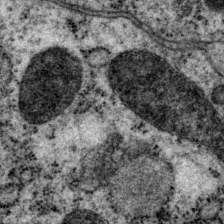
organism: P. pacificus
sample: Pharynx